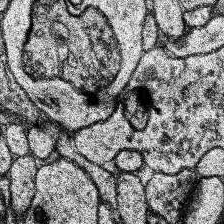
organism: Human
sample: Temporal Lobe